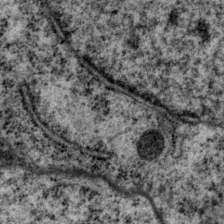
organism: P. pacificus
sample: Pharynx